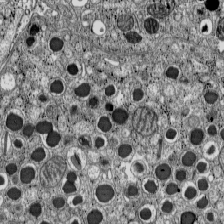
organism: C57BL Mouse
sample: Pancreatic islet